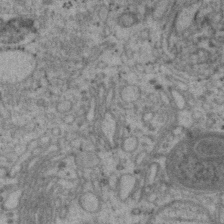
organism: Human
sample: HeLa cells